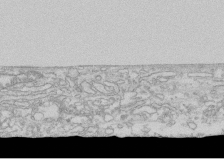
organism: Human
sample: CRL-1474